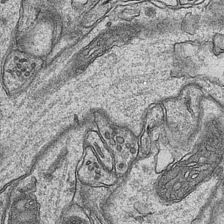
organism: Mouse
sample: CA1 Hippocampus